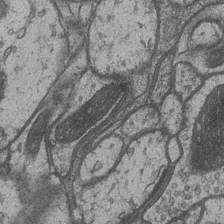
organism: Drosophila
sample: Optic medulla